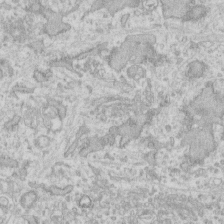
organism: Human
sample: Fibroblast cells